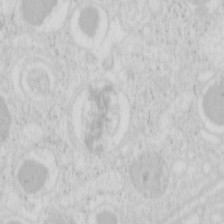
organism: Mouse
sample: Pancreas